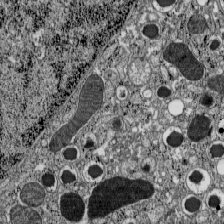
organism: C57BL Mouse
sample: Pancreatic islet